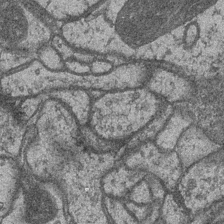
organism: Drosophila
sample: Optic medulla